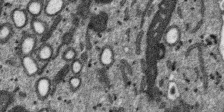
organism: Human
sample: Lung epithelial cells infected with SARS-CoV-2